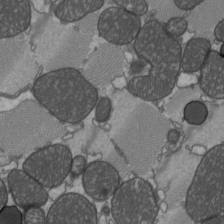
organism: C57BL Mouse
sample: Heart